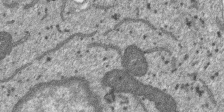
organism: Human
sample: Lung epithelial cells infected with SARS-CoV-2